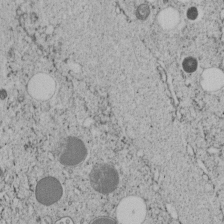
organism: C. elegans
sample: C. elegans embryo early stage